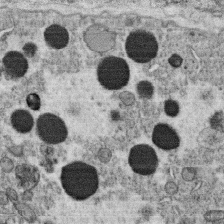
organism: C. elegans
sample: C. elegans oocyte; sperm cells